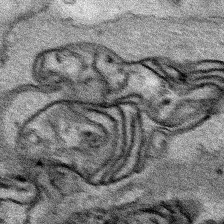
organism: Human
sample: Mitochondria in HCT116 cells